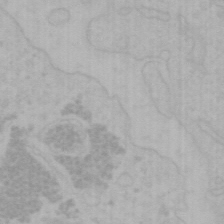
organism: Mouse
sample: Choroid plexus